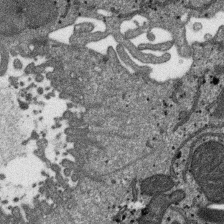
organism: Human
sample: Lung epithelial cells infected with SARS-CoV-2